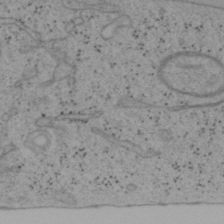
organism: Human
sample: HeLa cells